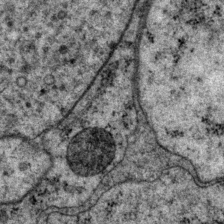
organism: P. pacificus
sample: Pharynx